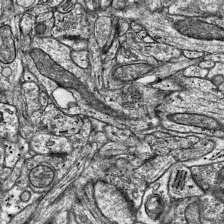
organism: Mouse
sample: Visual Cortex